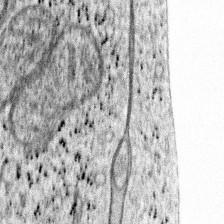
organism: Human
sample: HeLa cells